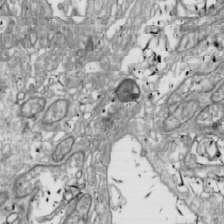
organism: Drosophila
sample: Cell division; meiosis; drosophila spermatocytes